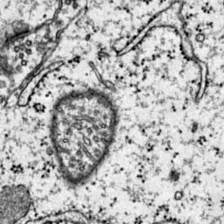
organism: Mouse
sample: Primary visual cortex